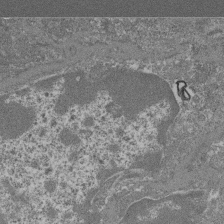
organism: Mouse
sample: Glomerulus